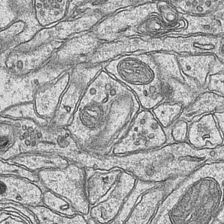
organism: Mouse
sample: CA1 Hippocampus